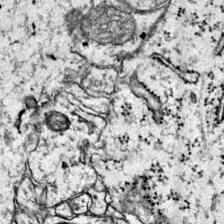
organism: Mouse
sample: Primary visual cortex